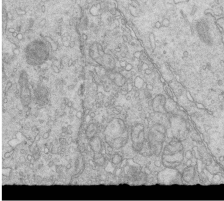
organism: Mouse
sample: Multiciliated cells